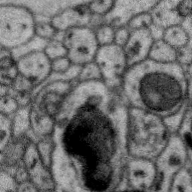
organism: Zebra finch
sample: Brain